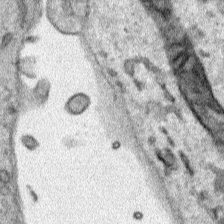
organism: Human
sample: Mitochondria in HCT116 cells